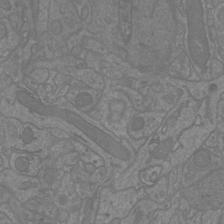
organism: Mouse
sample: Cortical neurons